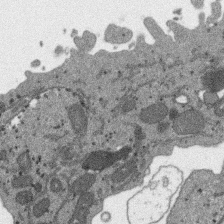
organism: Human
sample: Lung epithelial cells infected with SARS-CoV-2